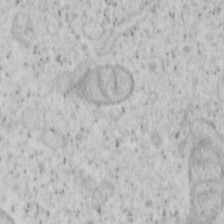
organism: Human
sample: HeLa cells